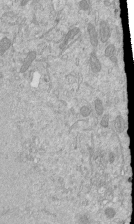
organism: Mouse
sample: ED-1 cell nuclei; centrioles